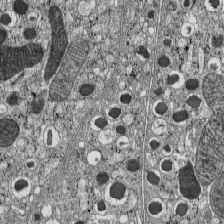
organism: C57BL Mouse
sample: Pancreatic islet